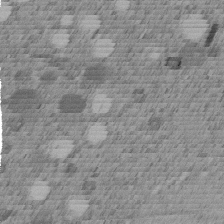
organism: C. elegans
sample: C. elegans embryo early stage